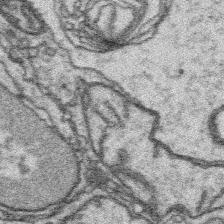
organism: Platynereis dumerilii